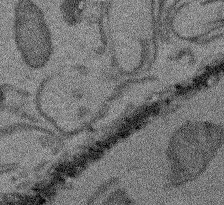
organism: Arabidopsis thaliana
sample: Root tip